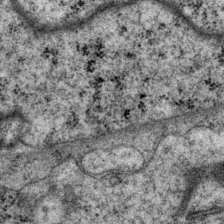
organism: P. pacificus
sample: Pharynx